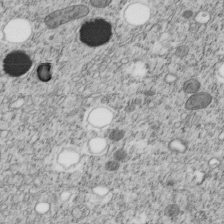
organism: C. elegans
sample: C. elegans embryo early stage